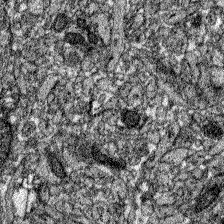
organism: Zebrafish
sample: Larval olfactory bulb